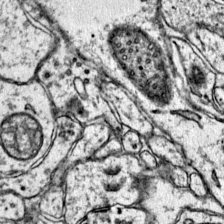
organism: Mouse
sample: Primary visual cortex